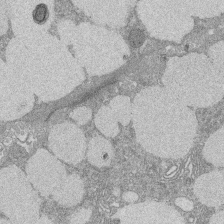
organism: Rat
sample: Salivary granule